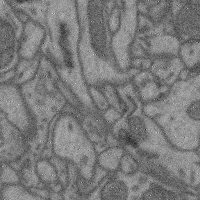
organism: Mouse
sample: Cerebral cortex